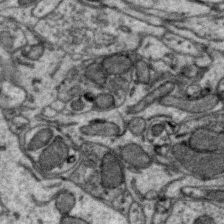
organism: Zebra finch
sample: Brain